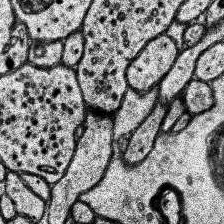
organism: Human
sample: Temporal Lobe